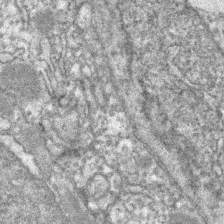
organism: Zebrafish